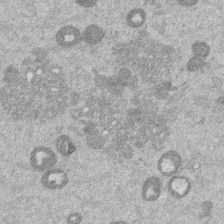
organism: Mouse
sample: Dividing mouse embryo 1 cell stage